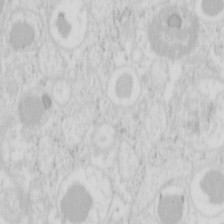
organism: Mouse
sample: Pancreas